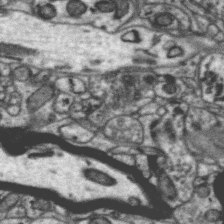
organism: Zebra finch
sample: Brain